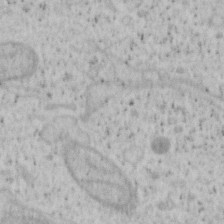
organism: Human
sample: HeLa cells